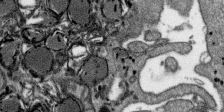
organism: Human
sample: Lung epithelial cells, uninfected (mock) control